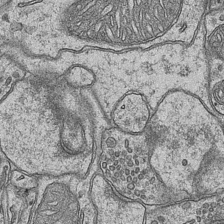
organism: Mouse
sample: CA1 Hippocampus